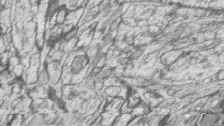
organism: Zebrafish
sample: synaptic ribbons in rod cells and cone cells